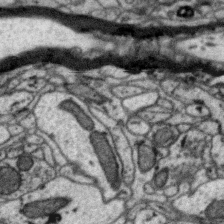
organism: Zebra finch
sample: Brain